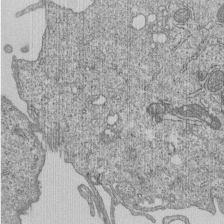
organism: Human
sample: MDA-MB-231 cells